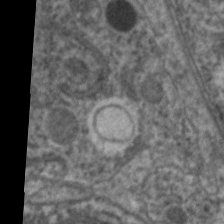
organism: C. elegans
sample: Pharynx